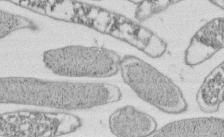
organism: E. coli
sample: Bacterial nucleoid